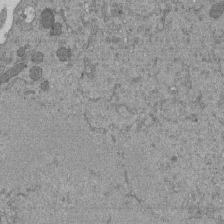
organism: Mouse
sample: ED-1 cell nuclei; centrioles